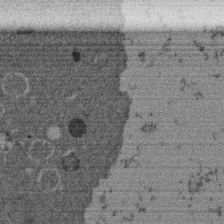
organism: Mouse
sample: Dividing mouse embryo 1 cell stage